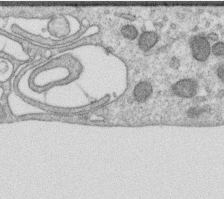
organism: Human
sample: Centriole in RPE cells